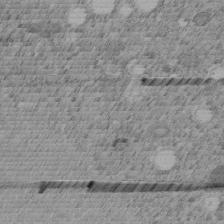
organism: C. elegans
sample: C. elegans embryo early stage